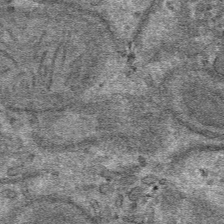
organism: Mouse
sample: Mouse hepatocytes